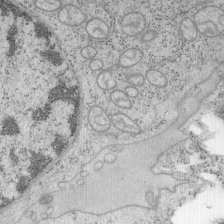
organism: Mouse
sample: OT-I killer T cells with ID8 ovarian cancer cells